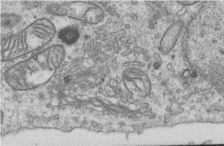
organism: Human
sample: Centriole in RPE cells